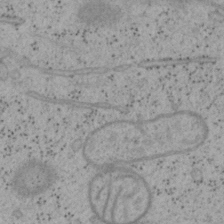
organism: Human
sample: HeLa cells